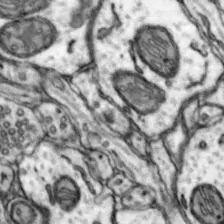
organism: Mouse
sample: Nucleus accumbens